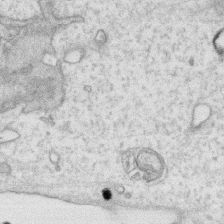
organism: Human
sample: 1205lu cells